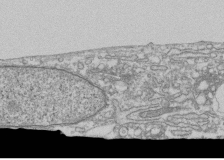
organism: Human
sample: Fibroblast cells